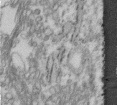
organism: Human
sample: Centriole in fibroblast cells